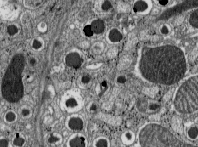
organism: C57BL Mouse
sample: Pancreatic islet